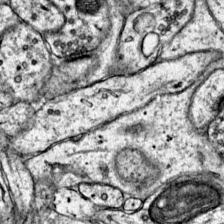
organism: Mouse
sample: Primary visual cortex